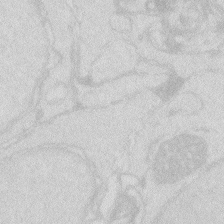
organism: Zebrafish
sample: Macrophage